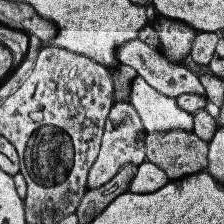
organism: Human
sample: Temporal Lobe